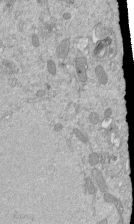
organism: Mouse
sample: ED-1 cell nuclei; centrioles